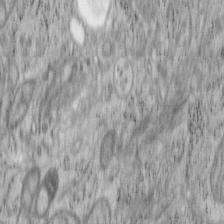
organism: Human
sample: HeLa cells